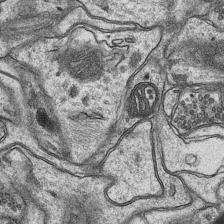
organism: Mouse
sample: CA1 Hippocampus